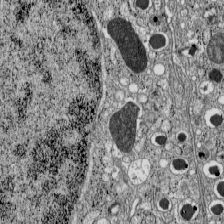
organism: C57BL Mouse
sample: Pancreatic islet